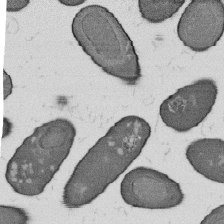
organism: B. subtilis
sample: Bacterial spore